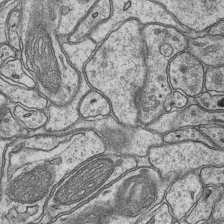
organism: Mouse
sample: CA1 Hippocampus